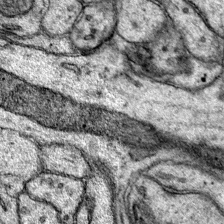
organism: Mouse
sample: Primary visual cortex